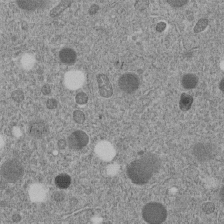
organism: C. elegans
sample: C. elegans embryo early stage